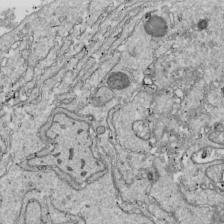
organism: Drosophila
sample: Cell division; meiosis; drosophila spermatocytes